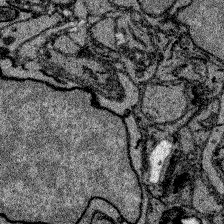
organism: Zebrafish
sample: Larval olfactory bulb